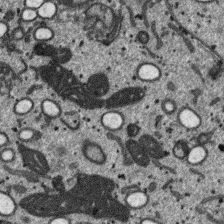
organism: Human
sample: Lung epithelial cells infected with SARS-CoV-2